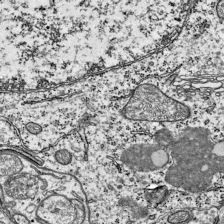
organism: Mouse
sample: Visual Cortex